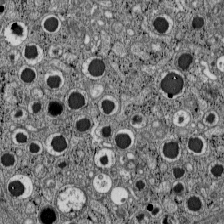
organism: C57BL Mouse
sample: Pancreatic islet